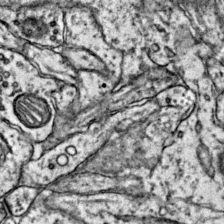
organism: Mouse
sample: Primary visual cortex